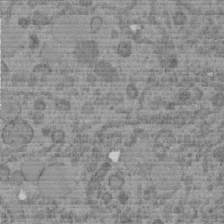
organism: C. elegans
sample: C. elegans embryo early stage